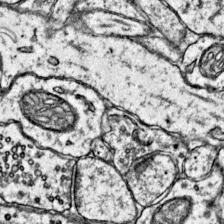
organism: Mouse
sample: Primary visual cortex